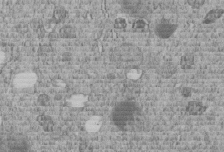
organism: C. elegans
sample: C. elegans embryo early stage